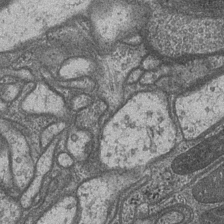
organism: Drosophila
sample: Optic medulla